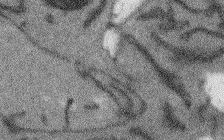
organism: Arabidopsis thaliana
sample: Root tip